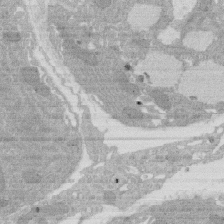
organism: Rat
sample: Salivary granule